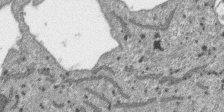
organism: Human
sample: Lung epithelial cells infected with SARS-CoV-2